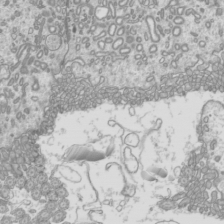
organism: Mouse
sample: Cilia; mouse epididymis